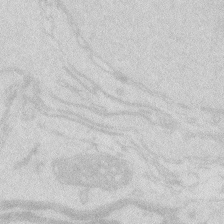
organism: Zebrafish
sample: Macrophage